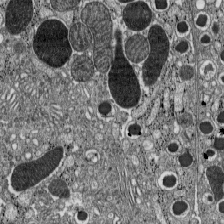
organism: C57BL Mouse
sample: Pancreatic islet